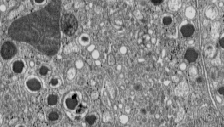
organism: C57BL Mouse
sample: Pancreatic islet